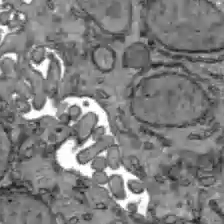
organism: C57BL Mouse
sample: Liver